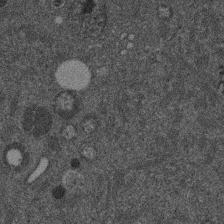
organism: Mouse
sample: Dividing mouse embryo 1 cell stage